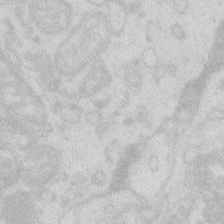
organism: Zebrafish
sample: Macrophage